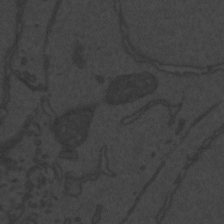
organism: Zebrafish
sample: Macrophage infected with Toxoplasma gondii